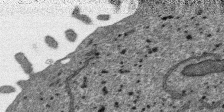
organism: Human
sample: Lung epithelial cells infected with SARS-CoV-2